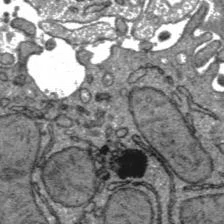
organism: C57BL Mouse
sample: Liver